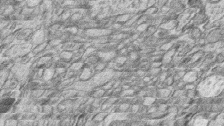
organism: Zebrafish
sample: synaptic ribbons in rod cells and cone cells